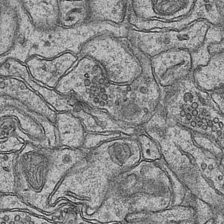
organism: Mouse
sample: CA1 Hippocampus